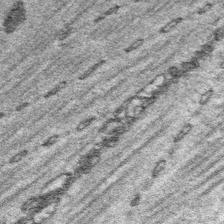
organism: Platynereis dumerilii